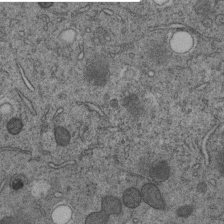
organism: C. elegans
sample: C. elegans embryo early stage